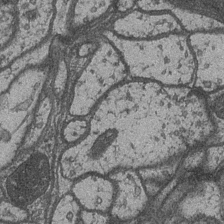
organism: Drosophila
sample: Optic medulla